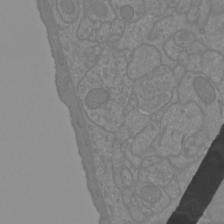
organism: Mouse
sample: Cortical neurons